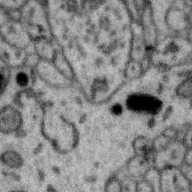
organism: Zebra finch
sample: Brain